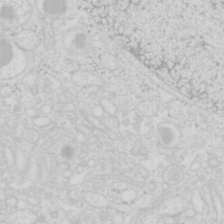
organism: Mouse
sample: Pancreas